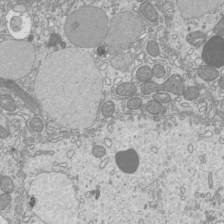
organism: Mouse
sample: Cilia; mouse epididymis